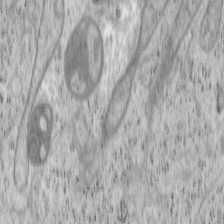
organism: Human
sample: HeLa cells